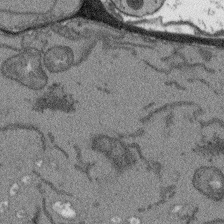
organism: Arabidopsis thaliana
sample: Root tip